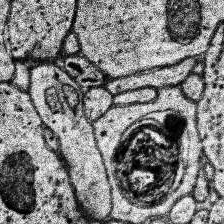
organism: Human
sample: Temporal Lobe